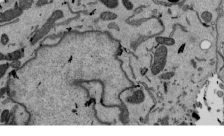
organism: Mouse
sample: ED-1 cell nuclei; centrioles